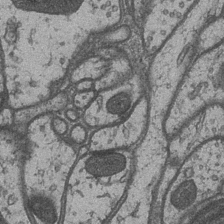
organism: Drosophila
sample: Optic medulla